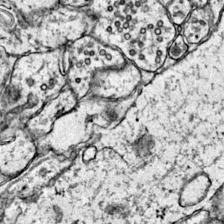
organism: Mouse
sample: Primary visual cortex